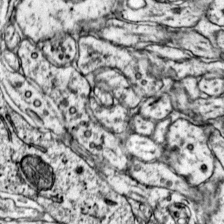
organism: Mouse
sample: Primary visual cortex